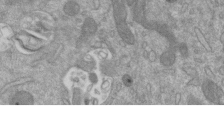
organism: Mouse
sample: ED-1 cell nuclei; centrioles